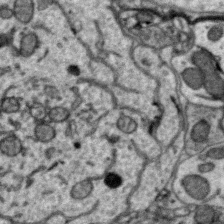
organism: Zebra finch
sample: Brain